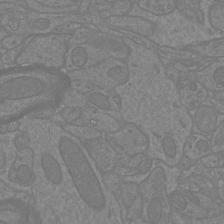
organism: Mouse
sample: Cortical neurons